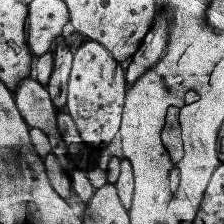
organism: Human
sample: Temporal Lobe